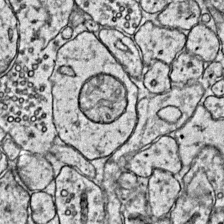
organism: Mouse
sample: Primary visual cortex